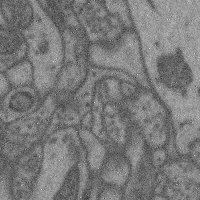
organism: Mouse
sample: Cerebral cortex